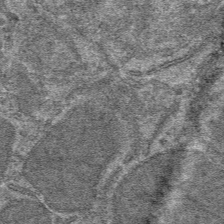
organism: Mouse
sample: Mouse hepatocytes